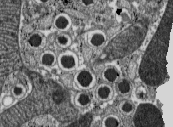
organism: C57BL Mouse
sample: Pancreatic islet